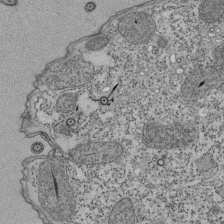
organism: Tetrahymena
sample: Cilia in tetrahymena